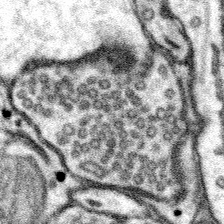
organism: Mouse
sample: Somatosensory cortex neuropil